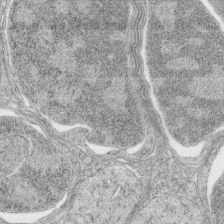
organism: Zebrafish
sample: synaptic ribbons in rod cells and cone cells